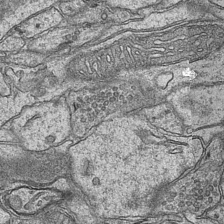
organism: Mouse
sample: CA1 Hippocampus